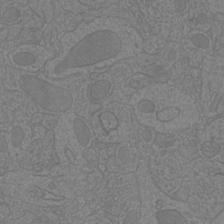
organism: Mouse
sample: Cortical neurons